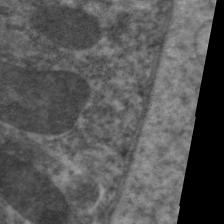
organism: C. elegans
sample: Pharynx